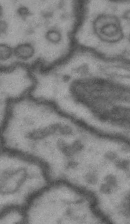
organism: Drosophila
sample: Brain